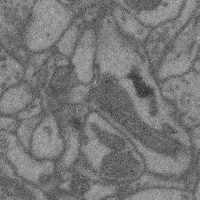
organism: Mouse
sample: Cerebral cortex